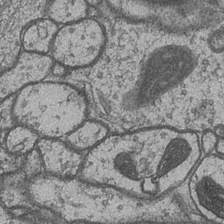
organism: Drosophila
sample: Optic medulla